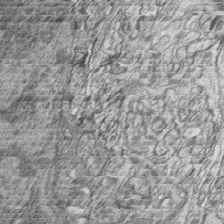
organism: Zebrafish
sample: synaptic ribbons in rod cells and cone cells